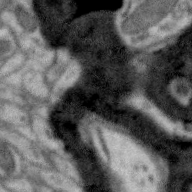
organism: Zebra finch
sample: Brain